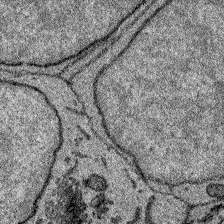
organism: Zebrafish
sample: Larval olfactory bulb